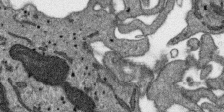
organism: Human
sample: Lung epithelial cells, uninfected (mock) control